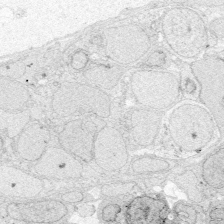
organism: Zebrafish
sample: Whole-Brain